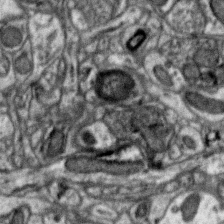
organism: Zebra finch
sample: Brain